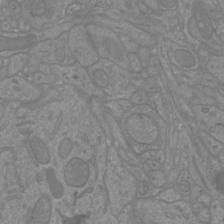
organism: Mouse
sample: Cortical neurons